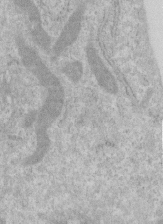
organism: Human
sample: Centriole in RPE cells